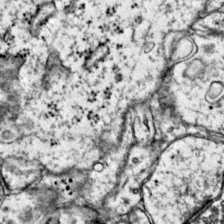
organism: Mouse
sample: Primary visual cortex